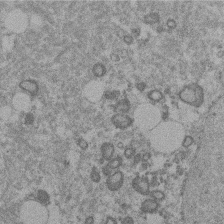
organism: Mouse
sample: Dividing mouse embryo 1 cell stage